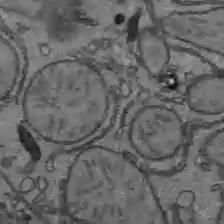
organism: C57BL Mouse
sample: Liver